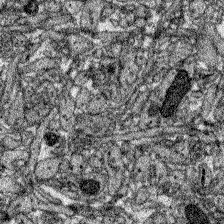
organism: Zebrafish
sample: Larval olfactory bulb